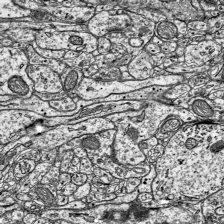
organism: Mouse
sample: Visual Cortex